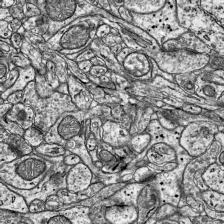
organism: Mouse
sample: Visual Cortex